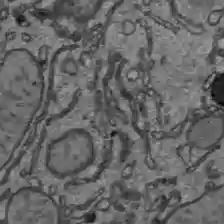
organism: C57BL Mouse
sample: Liver